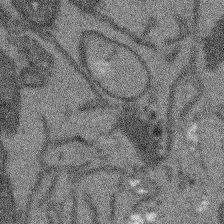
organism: Arabidopsis thaliana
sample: Root tip